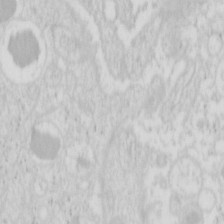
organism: Mouse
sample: Pancreas